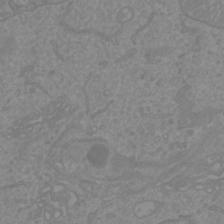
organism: Mouse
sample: Cortical neurons